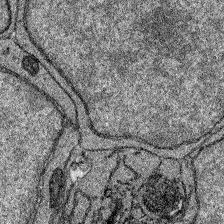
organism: Zebrafish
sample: Larval olfactory bulb